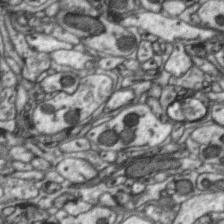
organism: Zebra finch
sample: Brain